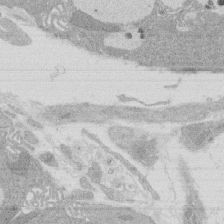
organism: Rat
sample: Salivary granule